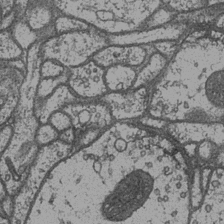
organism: Drosophila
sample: Optic medulla